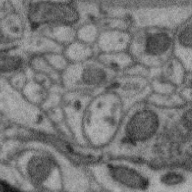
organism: Zebra finch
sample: Brain